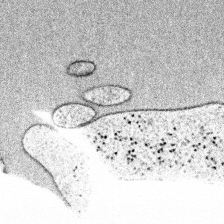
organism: Human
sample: HeLa cells